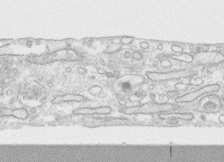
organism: Human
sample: CRL-1474